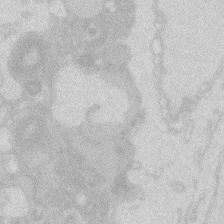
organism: Zebrafish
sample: Macrophage